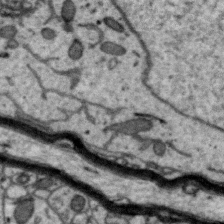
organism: Zebra finch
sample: Brain